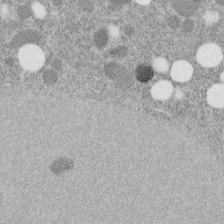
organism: C. elegans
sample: C. elegans embryo early stage